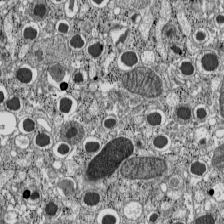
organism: C57BL Mouse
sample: Pancreatic islet